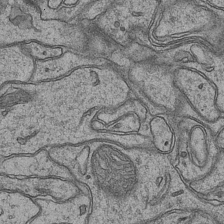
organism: Mouse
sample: CA1 Hippocampus